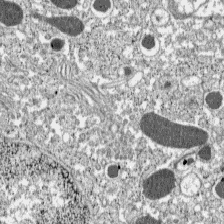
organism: C57BL Mouse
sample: Pancreatic islet